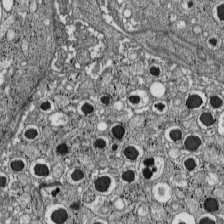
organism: C57BL Mouse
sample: Pancreatic islet